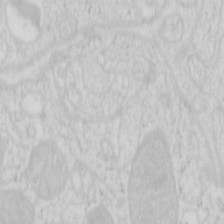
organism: Mouse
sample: Pancreas